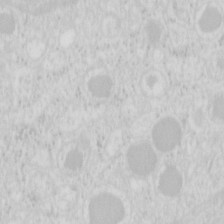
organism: Mouse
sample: Pancreas